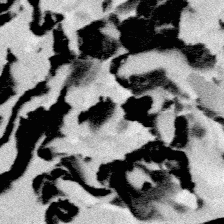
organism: Platynereis dumerilii